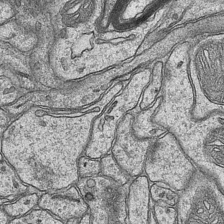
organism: Mouse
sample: CA1 Hippocampus